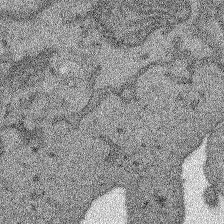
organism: Human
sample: HeLa cells